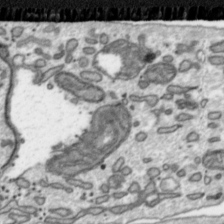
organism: Toxoplasma gondii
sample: Parasites in a vacuole inside a host cell